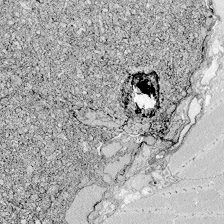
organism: Zebrafish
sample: Whole-Brain